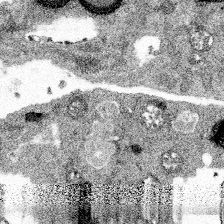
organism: Spongilla lacustris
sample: Multiple